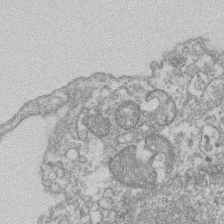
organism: Mouse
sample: T cell stromal cell synapse